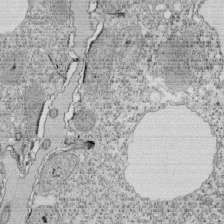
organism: Tetrahymena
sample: Cilia in tetrahymena